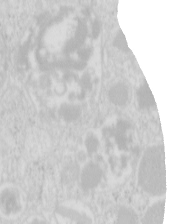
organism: Mouse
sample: Pancreas